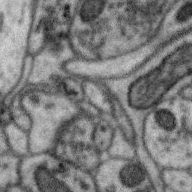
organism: Zebra finch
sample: Brain